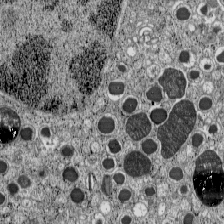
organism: C57BL Mouse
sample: Pancreatic islet